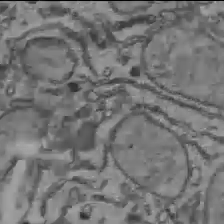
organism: C57BL Mouse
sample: Liver